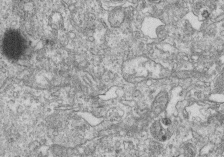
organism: Human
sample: HeLa cell HIV synapse